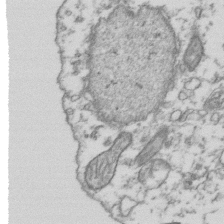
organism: Human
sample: Activated Jurkat CD4+ T cells